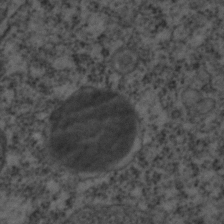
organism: C. elegans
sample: C. elegans embryo